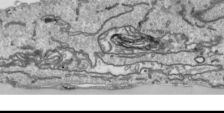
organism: Human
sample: Mitochondria in HCT116 cells